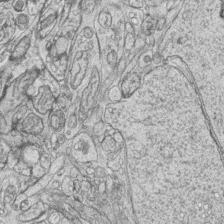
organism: Zebrafish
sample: synaptic ribbons in rod cells and cone cells